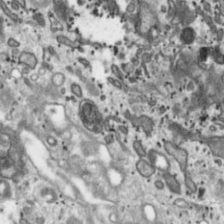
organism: Toxoplasma gondii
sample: Parasites in a vacuole inside a host cell